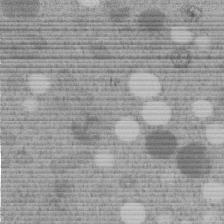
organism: C. elegans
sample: C. elegans embryo early stage